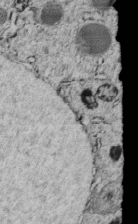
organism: C. elegans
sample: C. elegans embryo early stage